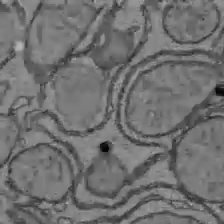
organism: C57BL Mouse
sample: Liver